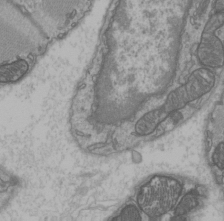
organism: C57BL Mouse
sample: Heart